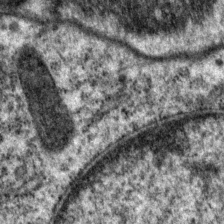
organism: P. pacificus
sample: Pharynx